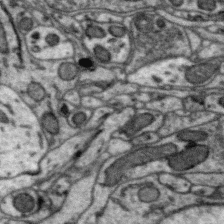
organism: Zebra finch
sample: Brain